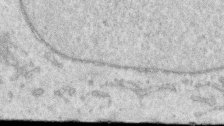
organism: Human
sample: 1205lu cells